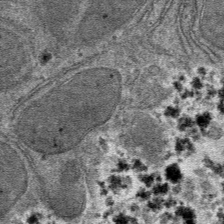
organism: Mouse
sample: Mouse hepatocytes